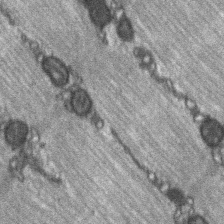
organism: C57BL Mouse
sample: Soleus